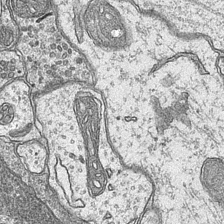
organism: Mouse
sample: CA1 Hippocampus